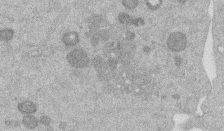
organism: Mouse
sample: Dividing mouse embryo 1 cell stage